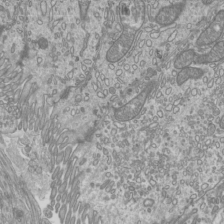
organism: Mouse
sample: Cilia; mouse epididymis